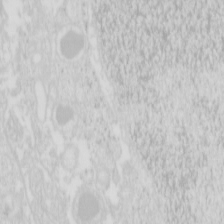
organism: Mouse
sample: Pancreas